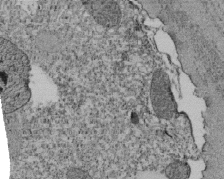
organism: Tetrahymena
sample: Cilia in tetrahymena